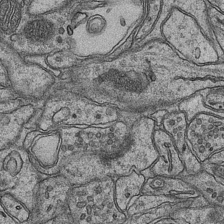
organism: Mouse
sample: CA1 Hippocampus